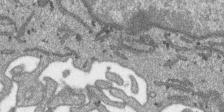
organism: Human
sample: Lung epithelial cells infected with SARS-CoV-2